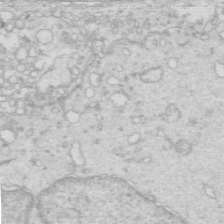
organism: Mouse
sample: Multiciliated cells